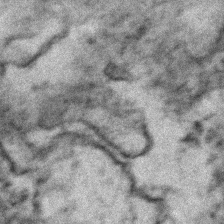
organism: Zebrafish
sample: Zebrafish embryo